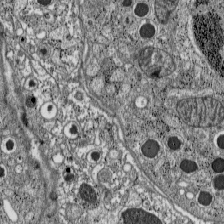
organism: C57BL Mouse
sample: Pancreatic islet